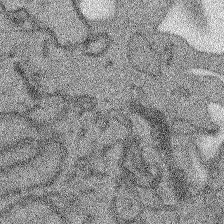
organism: Human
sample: HeLa cells